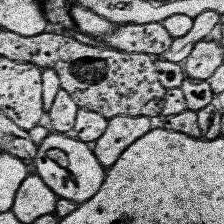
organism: Human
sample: Temporal Lobe